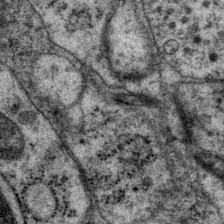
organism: P. pacificus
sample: Pharynx